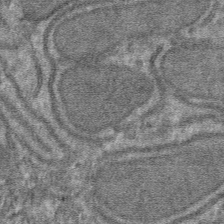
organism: Mouse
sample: Mouse hepatocytes